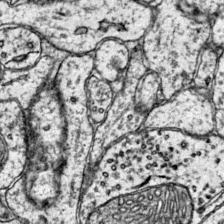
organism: Mouse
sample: Primary visual cortex